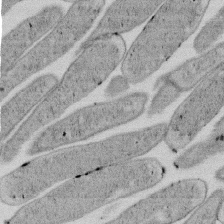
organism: E. coli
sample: Bacterial nucleoid